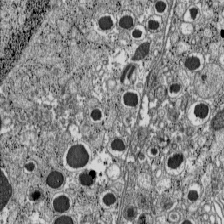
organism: C57BL Mouse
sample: Pancreatic islet